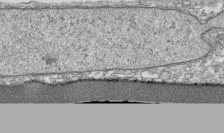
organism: Human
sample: CRL-1474